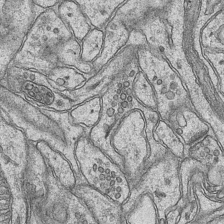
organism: Mouse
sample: CA1 Hippocampus